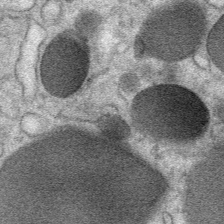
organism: Mouse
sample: Mouse Salivary gland